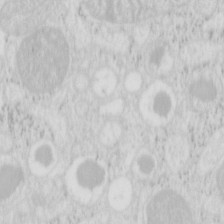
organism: Mouse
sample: Pancreas